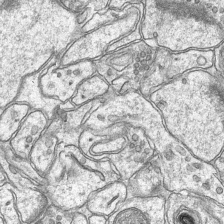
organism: Mouse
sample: CA1 Hippocampus